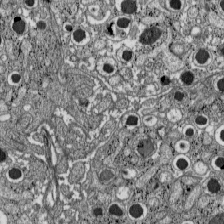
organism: C57BL Mouse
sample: Pancreatic islet